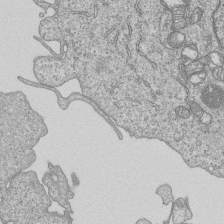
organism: Human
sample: MDA-MB-231 cells